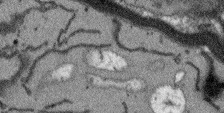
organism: Arabidopsis thaliana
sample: Root tip